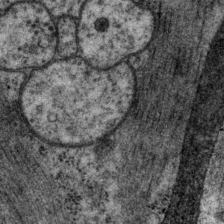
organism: P. pacificus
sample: Pharynx